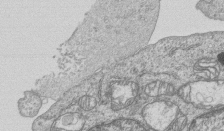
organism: Human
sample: MDA-MB-231 cells